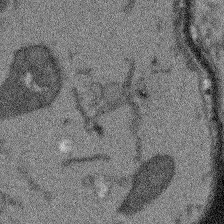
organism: Arabidopsis thaliana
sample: Root tip